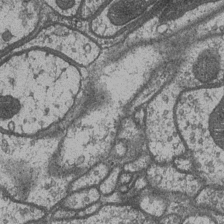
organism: Drosophila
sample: Optic medulla